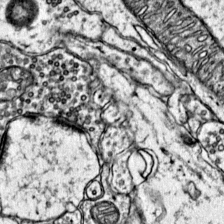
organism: Mouse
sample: Primary visual cortex